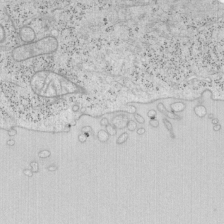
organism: Mouse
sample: OT-I killer T cells with ID8 ovarian cancer cells